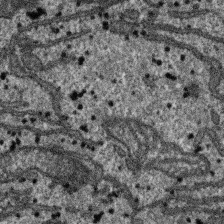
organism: Human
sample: Lung epithelial cells infected with SARS-CoV-2